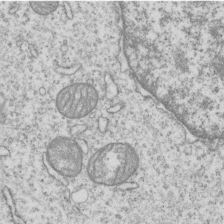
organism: Human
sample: MDA-MB-231 cells